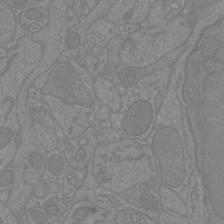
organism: Mouse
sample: Cortical neurons